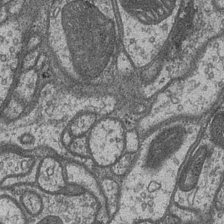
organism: Drosophila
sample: Optic medulla